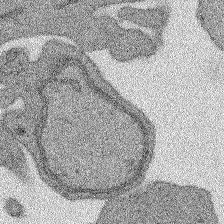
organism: Human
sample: HeLa cells